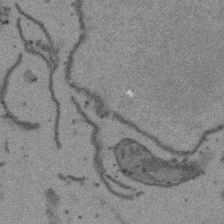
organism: Arabidopsis thaliana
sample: Root tip